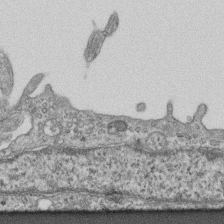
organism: Mouse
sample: Centriole in ependymal cells